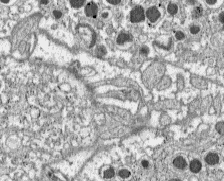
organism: C57BL Mouse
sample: Pancreatic islet